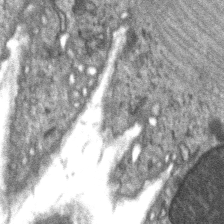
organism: C57BL Mouse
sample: Soleus